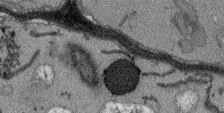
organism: Arabidopsis thaliana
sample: Root tip